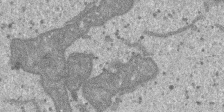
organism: Human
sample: Lung epithelial cells infected with SARS-CoV-2